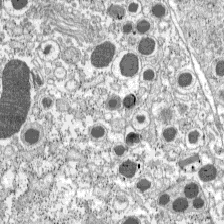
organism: C57BL Mouse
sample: Pancreatic islet